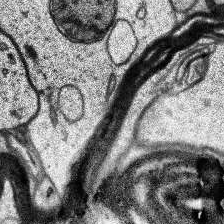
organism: Human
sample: Temporal Lobe